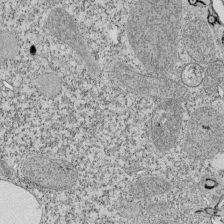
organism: Tetrahymena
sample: Cilia in tetrahymena